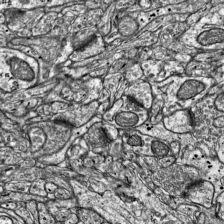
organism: Mouse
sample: Visual Cortex